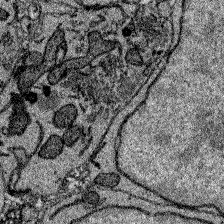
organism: Zebrafish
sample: Larval olfactory bulb